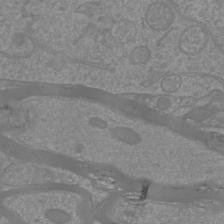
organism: Mouse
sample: Cortical neurons